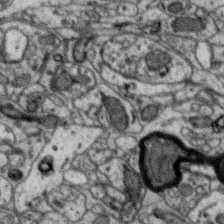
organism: Zebra finch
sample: Brain